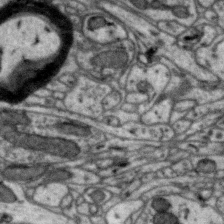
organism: Zebra finch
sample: Brain